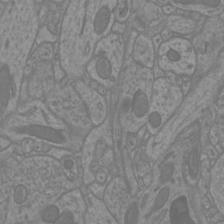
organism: Mouse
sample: Cortical neurons